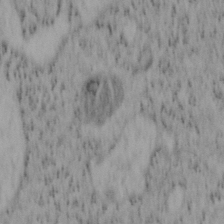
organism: Mouse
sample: OT-I killer T cells with ID8 ovarian cancer cells